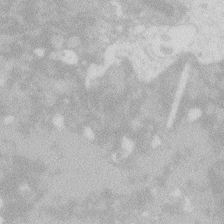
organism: Zebrafish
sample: Macrophage